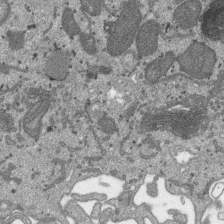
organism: Human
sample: Lung epithelial cells infected with SARS-CoV-2